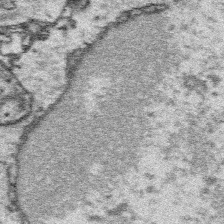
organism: Platynereis dumerilii